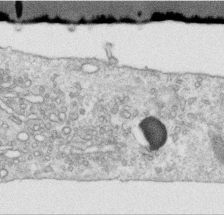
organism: Human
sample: Centriole in RPE cells